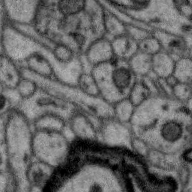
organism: Zebra finch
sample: Brain